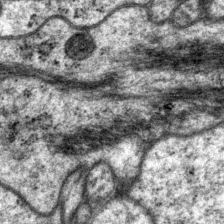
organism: P. pacificus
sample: Pharynx